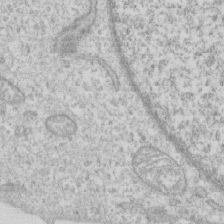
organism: Human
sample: CRL-1474